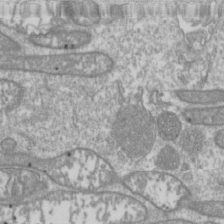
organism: Drosophila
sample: Cell division; meiosis; drosophila spermatocytes